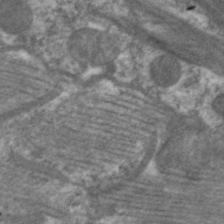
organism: C. elegans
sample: Pharynx